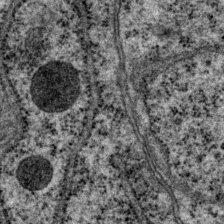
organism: P. pacificus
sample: Pharynx